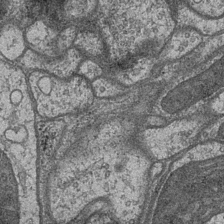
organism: Drosophila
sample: Optic medulla